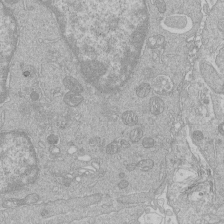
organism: Human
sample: Macrophage cells